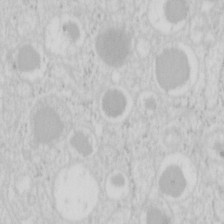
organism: Mouse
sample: Pancreas